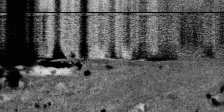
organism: Human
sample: Lung epithelial cells, uninfected (mock) control